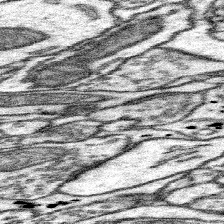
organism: Mouse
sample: Somatosensory cortex neuropil